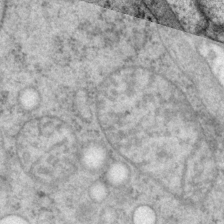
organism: P. pacificus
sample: Pharynx